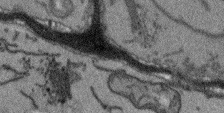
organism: Arabidopsis thaliana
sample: Root tip